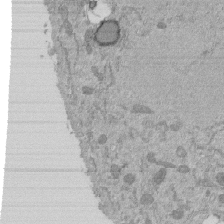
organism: Mouse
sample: ED-1 cell nuclei; centrioles